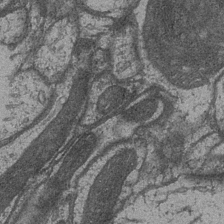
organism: Drosophila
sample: Optic medulla